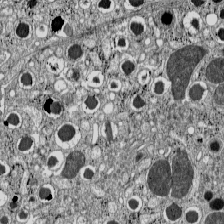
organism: C57BL Mouse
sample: Pancreatic islet